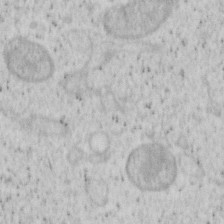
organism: Human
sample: HeLa cells